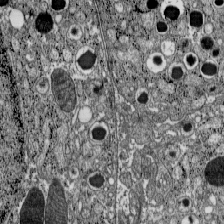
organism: C57BL Mouse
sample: Pancreatic islet